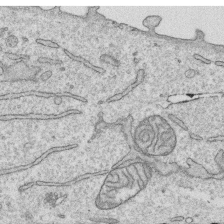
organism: Human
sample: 1205lu cells